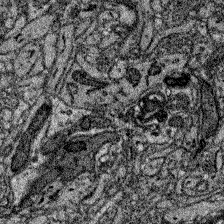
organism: Zebrafish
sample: Larval olfactory bulb